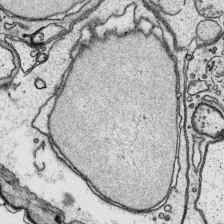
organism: Platynereis dumerilii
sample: Parapodia